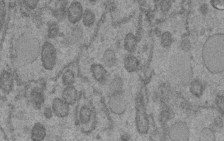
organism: C. elegans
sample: C. elegans embryo early stage